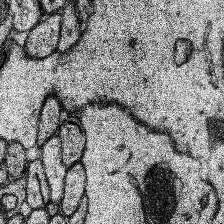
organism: Human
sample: Temporal Lobe